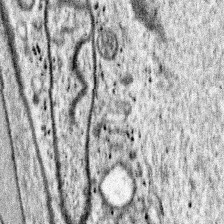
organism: Human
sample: HeLa cells